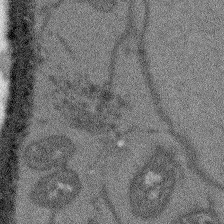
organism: Arabidopsis thaliana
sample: Root tip